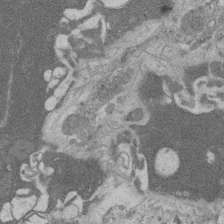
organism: Rat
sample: Salivary granule